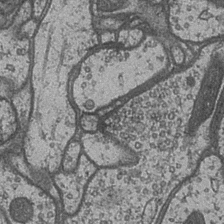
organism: Drosophila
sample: Optic medulla